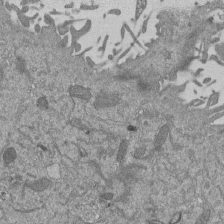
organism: Mouse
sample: ED-1 cell nuclei; centrioles